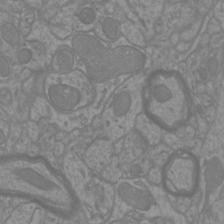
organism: Mouse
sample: Cortical neurons